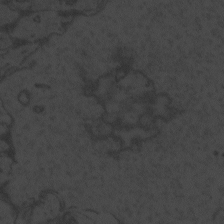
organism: Zebrafish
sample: Macrophage infected with Toxoplasma gondii